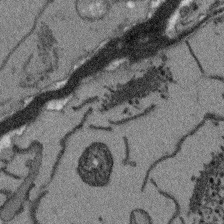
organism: Arabidopsis thaliana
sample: Root tip